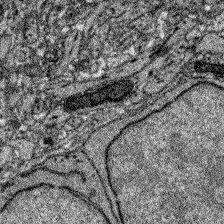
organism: Zebrafish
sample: Larval olfactory bulb